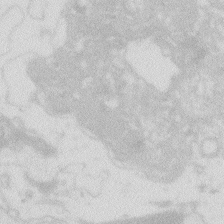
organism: Zebrafish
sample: Macrophage